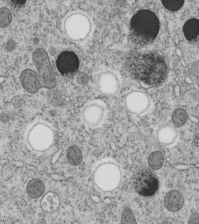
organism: C. elegans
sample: C. elegans embryo early stage